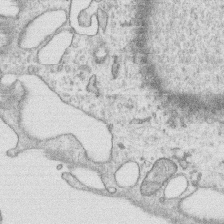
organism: Human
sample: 1205lu cells